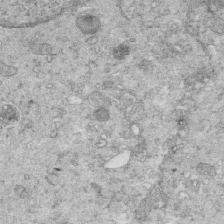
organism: Mouse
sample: Multiciliated cells